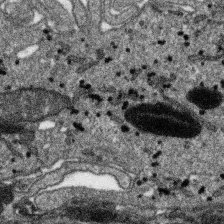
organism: Human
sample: Lung epithelial cells infected with SARS-CoV-2